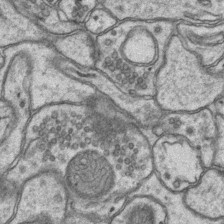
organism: Mouse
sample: CA1 Hippocampus